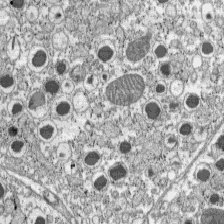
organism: C57BL Mouse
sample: Pancreatic islet